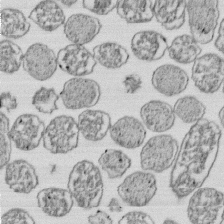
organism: E. coli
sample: Bacterial nucleoid